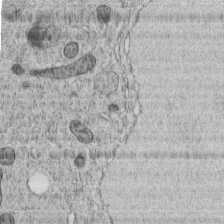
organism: C. elegans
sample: C. elegans embryo early stage